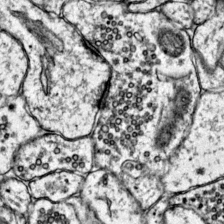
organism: Mouse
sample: Primary visual cortex